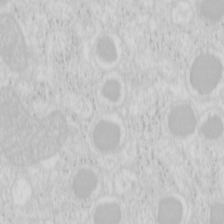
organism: Mouse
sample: Pancreas